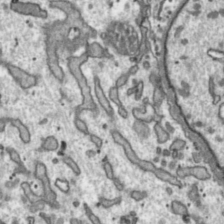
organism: Toxoplasma gondii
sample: Parasites in a vacuole inside a host cell